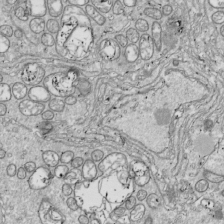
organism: Drosophila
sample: Cell division; meiosis; drosophila spermatocytes